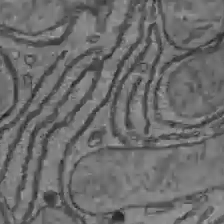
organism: C57BL Mouse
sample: Liver